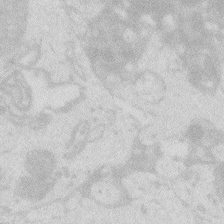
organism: Zebrafish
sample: Macrophage